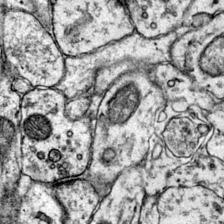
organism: Mouse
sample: Primary visual cortex